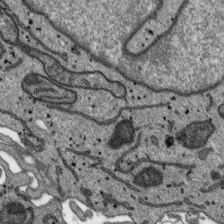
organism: Human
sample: Lung epithelial cells, uninfected (mock) control